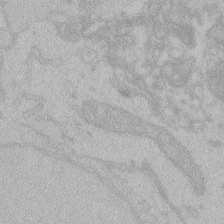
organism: Zebrafish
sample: Macrophage infected with Toxoplasma gondii